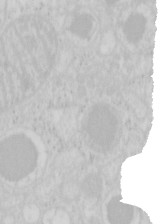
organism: Mouse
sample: Pancreas